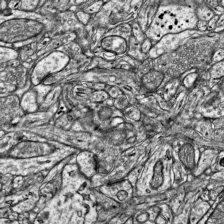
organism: Mouse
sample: Visual Cortex